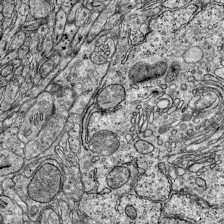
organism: Mouse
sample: Visual Cortex